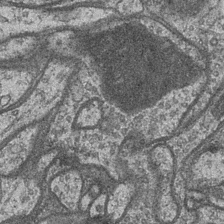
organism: Drosophila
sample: Optic medulla